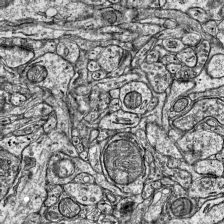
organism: Mouse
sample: Visual Cortex